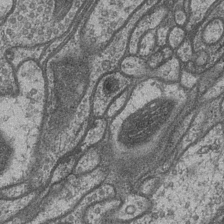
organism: Drosophila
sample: Optic medulla